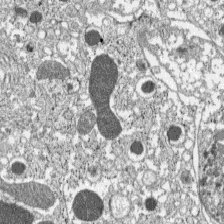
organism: C57BL Mouse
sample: Pancreatic islet